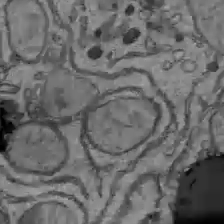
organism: C57BL Mouse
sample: Liver